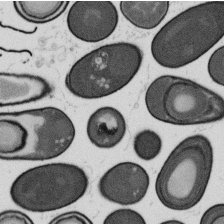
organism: B. subtilis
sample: Bacterial spore